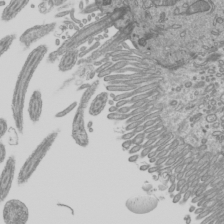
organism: Mouse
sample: Cilia; mouse epididymis